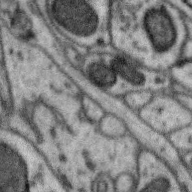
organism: Zebra finch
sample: Brain